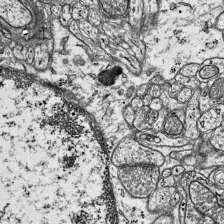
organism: Mouse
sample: Visual Cortex